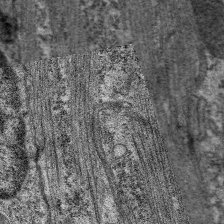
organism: C. elegans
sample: Pharynx